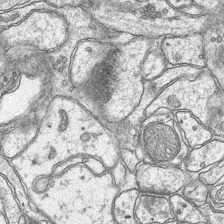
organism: Mouse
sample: CA1 Hippocampus